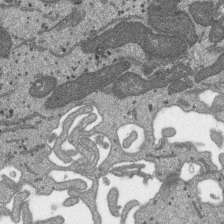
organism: Human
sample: Lung epithelial cells infected with SARS-CoV-2